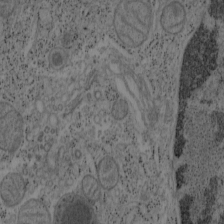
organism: Mouse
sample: OT-I killer T cells with ID8 ovarian cancer cells